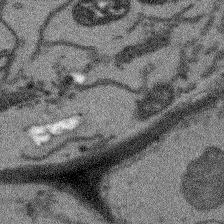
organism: Arabidopsis thaliana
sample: Root tip